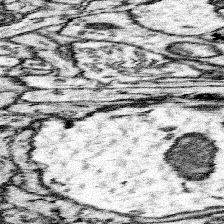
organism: Mouse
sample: Somatosensory cortex neuropil